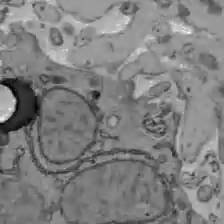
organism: C57BL Mouse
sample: Liver